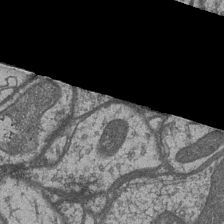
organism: Drosophila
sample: Optic medulla